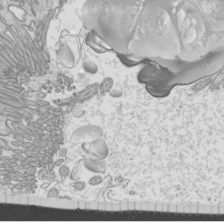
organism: Mouse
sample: Cilia; mouse epididymis